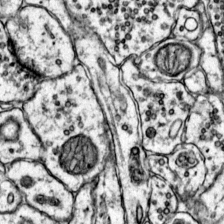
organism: Mouse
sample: Primary visual cortex